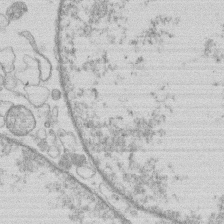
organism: Human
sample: Macrophage cells